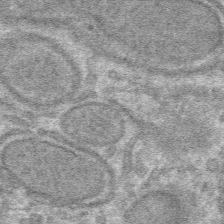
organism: Mouse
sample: Mouse hepatocytes